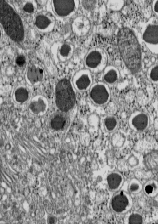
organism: C57BL Mouse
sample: Pancreatic islet